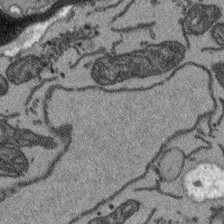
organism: Arabidopsis thaliana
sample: Root tip